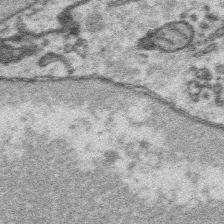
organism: Platynereis dumerilii